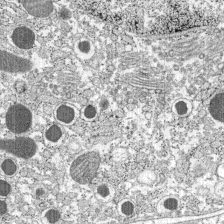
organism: C57BL Mouse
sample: Pancreatic islet